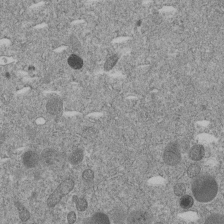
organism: C. elegans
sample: C. elegans embryo early stage